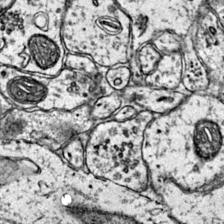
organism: Mouse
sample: Primary visual cortex